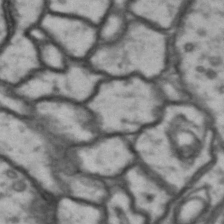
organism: Drosophila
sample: Brain